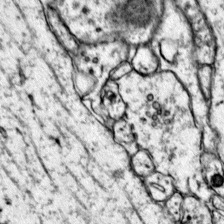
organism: Mouse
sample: Primary visual cortex